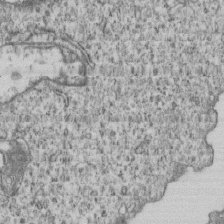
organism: Human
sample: MDA-MB-231 cells